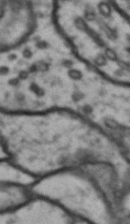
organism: Drosophila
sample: Brain